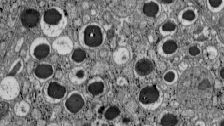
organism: C57BL Mouse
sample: Pancreatic islet